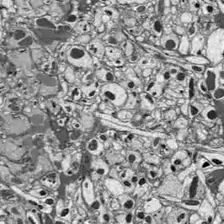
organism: Drosophila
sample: Optic lobe